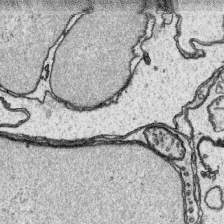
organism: Platynereis dumerilii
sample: Parapodia